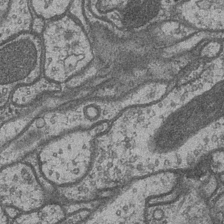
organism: Drosophila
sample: Optic medulla